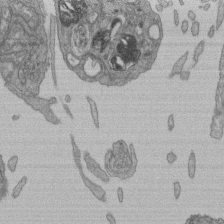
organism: Human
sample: Retinal organoid Rod and Cone cells